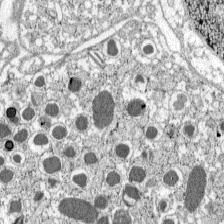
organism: C57BL Mouse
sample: Pancreatic islet